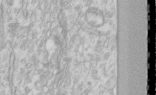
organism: Human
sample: Centriole in RPE cells